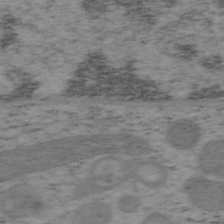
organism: Mouse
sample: OT-I killer T cells with ID8 ovarian cancer cells